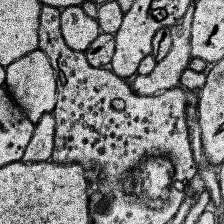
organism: Human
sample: Temporal Lobe